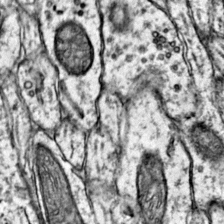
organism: Mouse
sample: Primary visual cortex